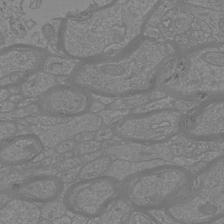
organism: Mouse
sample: Cortical neurons